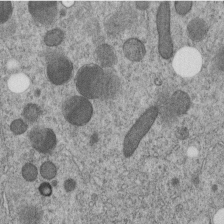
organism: C. elegans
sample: C. elegans embryo early stage